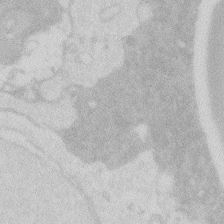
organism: Zebrafish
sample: Macrophage